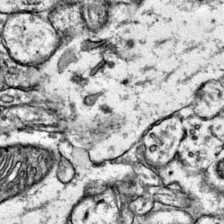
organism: Mouse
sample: Primary visual cortex